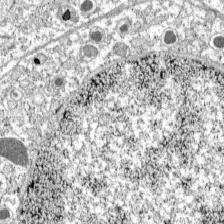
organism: C57BL Mouse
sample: Pancreatic islet